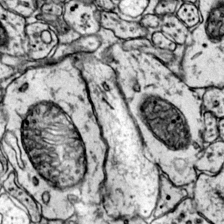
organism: Mouse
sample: Primary visual cortex